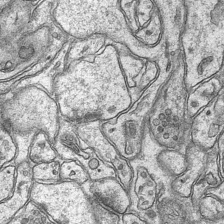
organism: Mouse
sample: CA1 Hippocampus